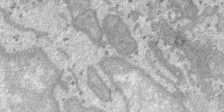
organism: Human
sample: Lung epithelial cells infected with SARS-CoV-2